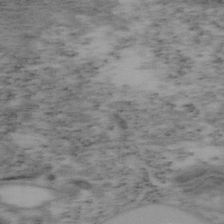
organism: Mouse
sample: OT-I killer T cells with ID8 ovarian cancer cells